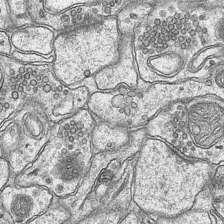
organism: Mouse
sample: CA1 Hippocampus